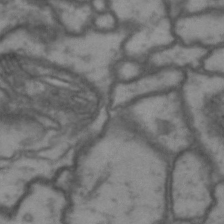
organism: Drosophila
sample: Brain